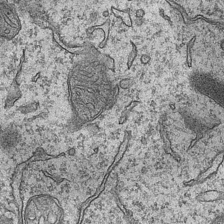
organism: Mouse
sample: CA1 Hippocampus